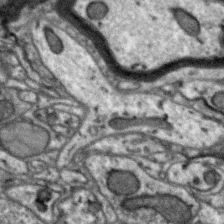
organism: Zebra finch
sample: Brain